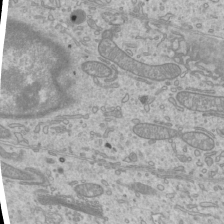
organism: Mouse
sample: Cilia; mouse epididymis